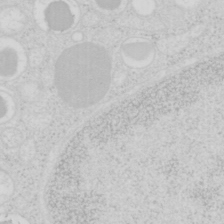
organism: Mouse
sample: Pancreas